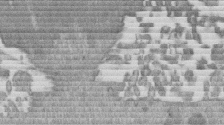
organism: Mouse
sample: Dividing mouse embryo 1 cell stage